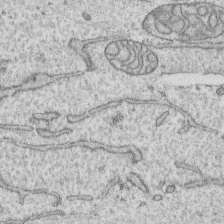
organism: Human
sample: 1205lu cells